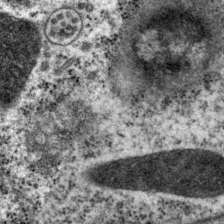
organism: P. pacificus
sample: Pharynx